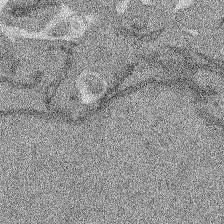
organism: Human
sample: HeLa cells